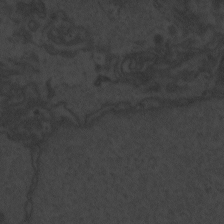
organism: Zebrafish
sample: Macrophage infected with Toxoplasma gondii